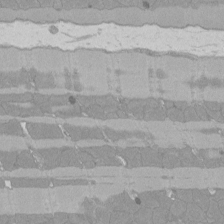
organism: Rat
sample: Left ventricle